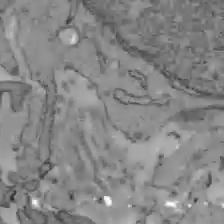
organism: C57BL Mouse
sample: Liver